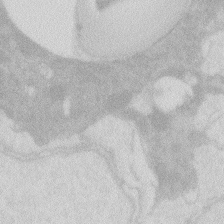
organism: Zebrafish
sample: Macrophage